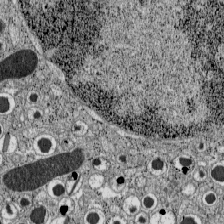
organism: C57BL Mouse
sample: Pancreatic islet